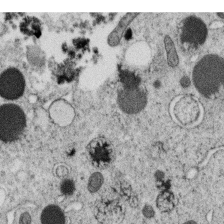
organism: C. elegans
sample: C. elegans oocyte; sperm cells